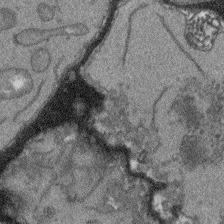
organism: Arabidopsis thaliana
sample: Root tip